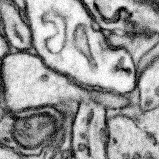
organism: Mouse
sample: Somatosensory cortex neuropil